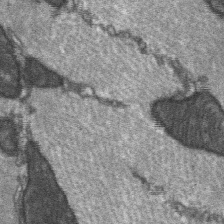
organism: C57BL Mouse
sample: Soleus